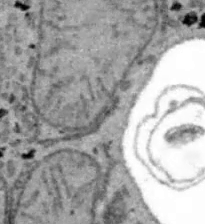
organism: Mouse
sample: Liver from an obese (ob/ob) mouse